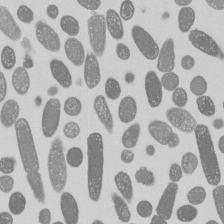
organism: E. coli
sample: Bacterial nucleoid